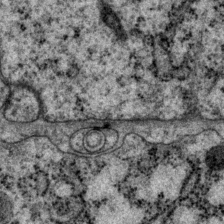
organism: P. pacificus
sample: Pharynx